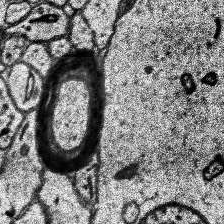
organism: Human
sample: Temporal Lobe